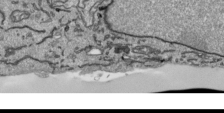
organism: Human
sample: Mitochondria in HCT116 cells